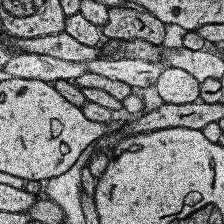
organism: Human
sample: Temporal Lobe